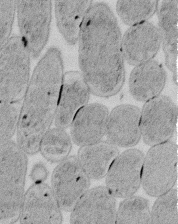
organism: E. coli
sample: Bacterial nucleoid